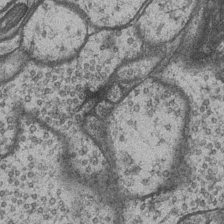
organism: Drosophila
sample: Optic medulla